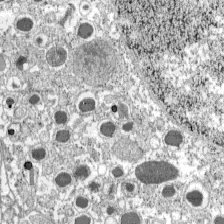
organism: C57BL Mouse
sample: Pancreatic islet